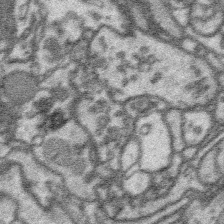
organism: Platynereis dumerilii